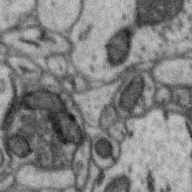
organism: Zebra finch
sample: Brain